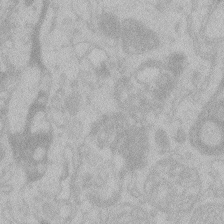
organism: Zebrafish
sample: Macrophage infected with Toxoplasma gondii